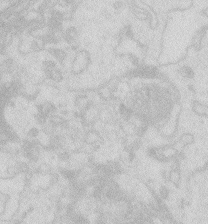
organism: Zebrafish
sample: Macrophage